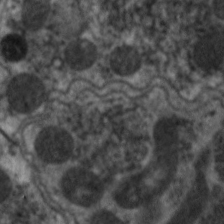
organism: C. elegans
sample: Pharynx